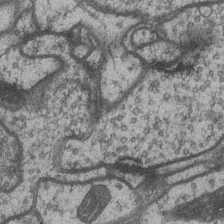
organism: Drosophila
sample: Optic medulla